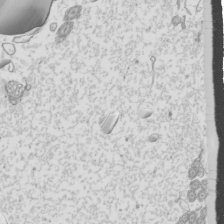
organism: Mouse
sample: Cilia; mouse epididymis